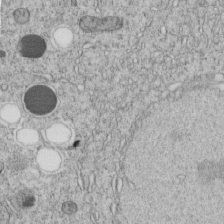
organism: C. elegans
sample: C. elegans embryo early stage